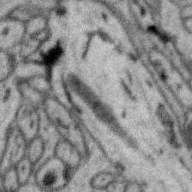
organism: Zebra finch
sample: Brain